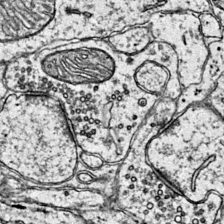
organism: Mouse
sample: Primary visual cortex